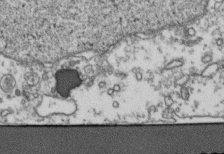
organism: Human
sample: Activated Jurkat CD4+ T cells